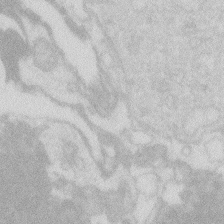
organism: Zebrafish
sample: Macrophage